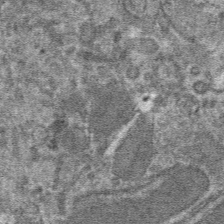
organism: Mouse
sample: Mouse hepatocytes